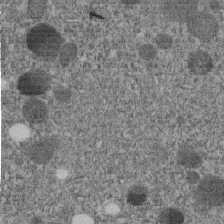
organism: C. elegans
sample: C. elegans embryo early stage